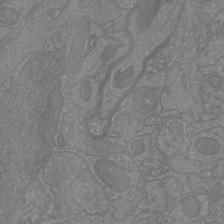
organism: Mouse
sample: Cortical neurons